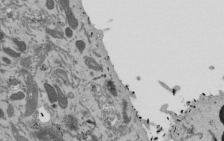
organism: Mouse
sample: ED-1 cell nuclei; centrioles